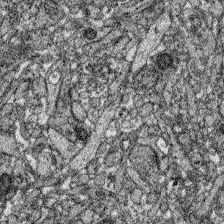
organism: Zebrafish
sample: Larval olfactory bulb